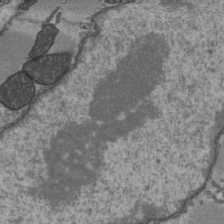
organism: C57BL Mouse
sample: Heart